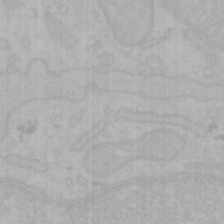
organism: Mouse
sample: Choroid plexus